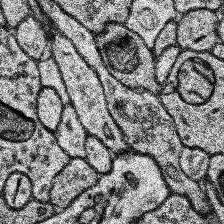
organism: Human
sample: Temporal Lobe